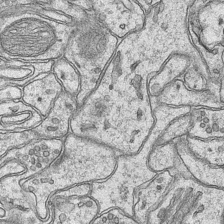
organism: Mouse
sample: CA1 Hippocampus